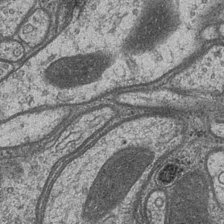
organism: Drosophila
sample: Optic medulla